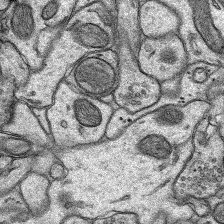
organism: Rat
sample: Hippocampus